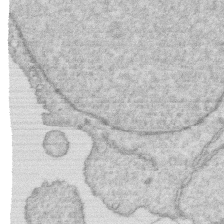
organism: Human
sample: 1205lu cells